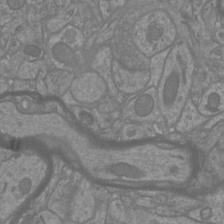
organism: Mouse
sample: Cortical neurons